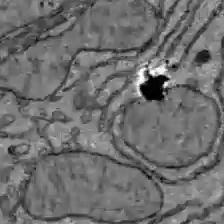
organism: C57BL Mouse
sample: Liver